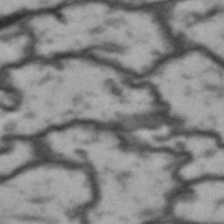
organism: Drosophila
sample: Brain